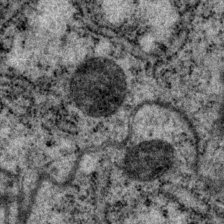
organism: P. pacificus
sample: Pharynx